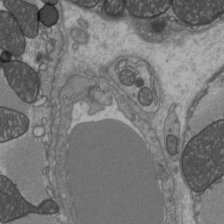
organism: C57BL Mouse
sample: Heart